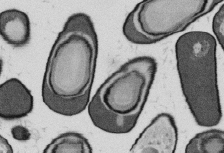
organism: B. subtilis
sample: Bacterial spore